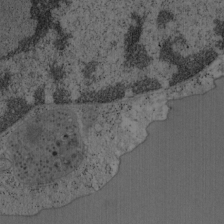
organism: Mouse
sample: OT-I killer T cells with ID8 ovarian cancer cells